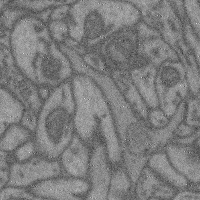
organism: Mouse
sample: Cerebral cortex